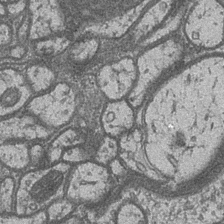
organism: Drosophila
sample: Optic medulla